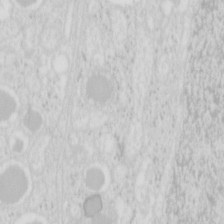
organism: Mouse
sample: Pancreas